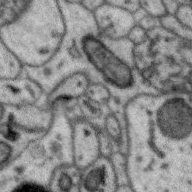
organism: Zebra finch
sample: Brain